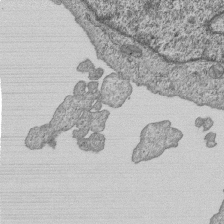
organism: Human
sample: MDA-MB-231 cells